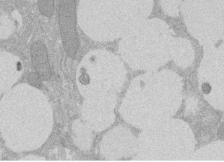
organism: Rat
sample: Salivary granule